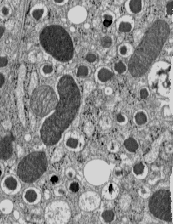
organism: C57BL Mouse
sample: Pancreatic islet